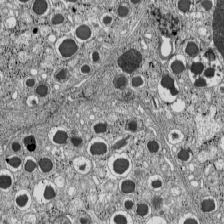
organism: C57BL Mouse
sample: Pancreatic islet